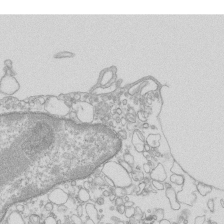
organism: Mouse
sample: Macrophages